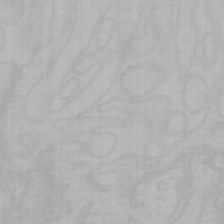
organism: Mouse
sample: Choroid plexus